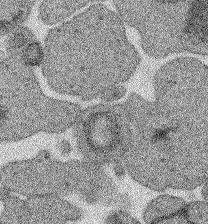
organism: Human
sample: HeLa cells